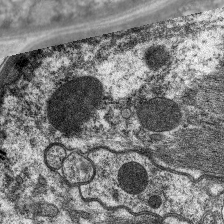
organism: C. elegans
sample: Pharynx